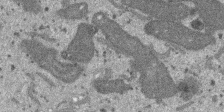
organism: Human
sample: Lung epithelial cells infected with SARS-CoV-2